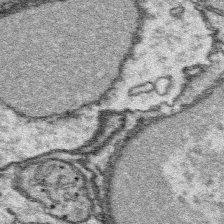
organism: Platynereis dumerilii